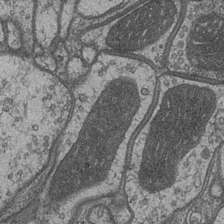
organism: Drosophila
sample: Optic medulla